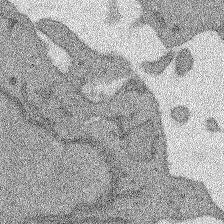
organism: Human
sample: HeLa cells